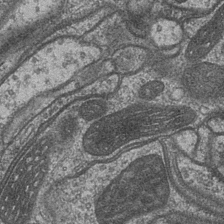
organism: Drosophila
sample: Optic medulla